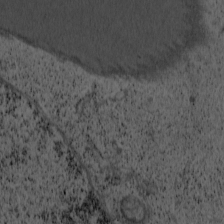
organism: African green monkey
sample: COS-7 cells